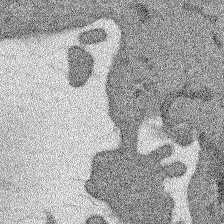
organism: Human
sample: HeLa cells